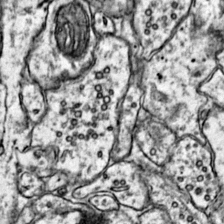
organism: Mouse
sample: Primary visual cortex